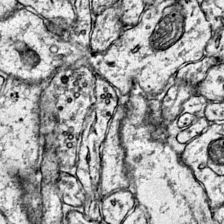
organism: Mouse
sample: Primary visual cortex